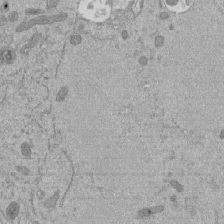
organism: Mouse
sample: ED-1 cell nuclei; centrioles